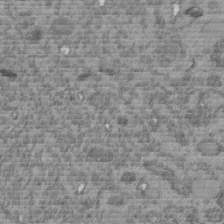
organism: C. elegans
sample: C. elegans embryo early stage